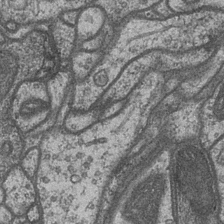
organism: Drosophila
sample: Optic medulla